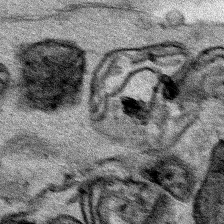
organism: Human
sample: Mitochondria in HCT116 cells